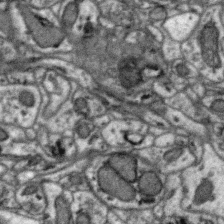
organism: Zebra finch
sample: Brain